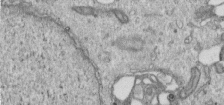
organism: Human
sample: Centriole in RPE cells